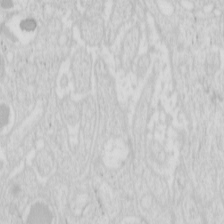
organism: Mouse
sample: Pancreas